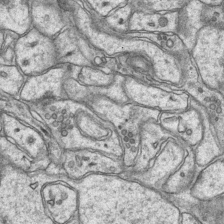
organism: Mouse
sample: CA1 Hippocampus